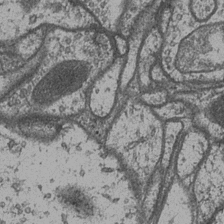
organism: Drosophila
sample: Optic medulla